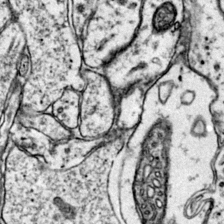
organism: Mouse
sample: Primary visual cortex